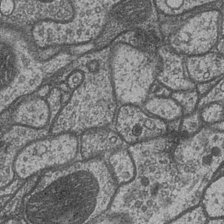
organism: Drosophila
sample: Optic medulla